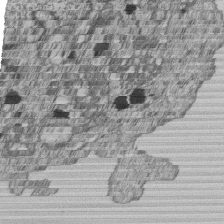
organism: Human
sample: MDA-MB-231 cells